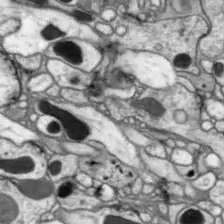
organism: Drosophila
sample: Optic lobe